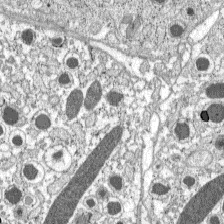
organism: C57BL Mouse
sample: Pancreatic islet